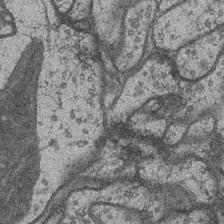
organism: Drosophila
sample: Optic medulla